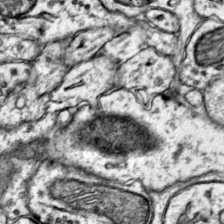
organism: Mouse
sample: Primary visual cortex